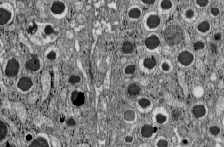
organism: C57BL Mouse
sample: Pancreatic islet